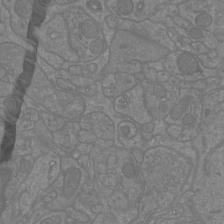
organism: Mouse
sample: Cortical neurons